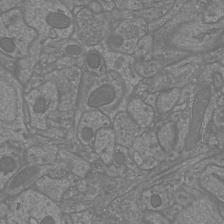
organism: Mouse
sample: Cortical neurons